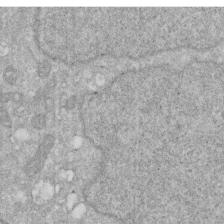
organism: Human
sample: HIV infected U937 cells